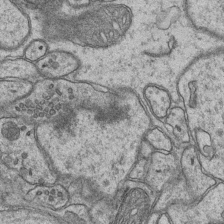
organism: Mouse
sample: CA1 Hippocampus